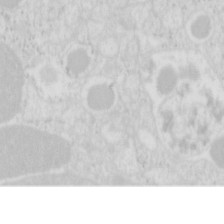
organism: Mouse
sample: Pancreas